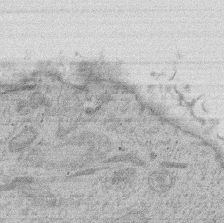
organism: Rat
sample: Salivary granule